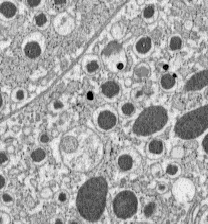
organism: C57BL Mouse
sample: Pancreatic islet